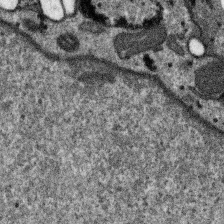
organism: Human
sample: Lung epithelial cells infected with SARS-CoV-2